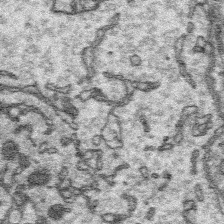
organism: Platynereis dumerilii